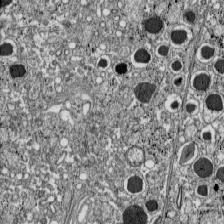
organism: C57BL Mouse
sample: Pancreatic islet